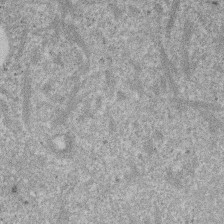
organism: Mouse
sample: Dividing mouse embryo 1 cell stage